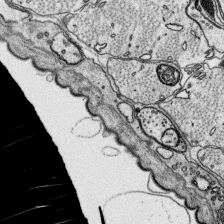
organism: Platynereis dumerilii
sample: Parapodia